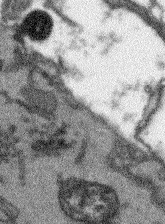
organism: Arabidopsis thaliana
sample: Root tip